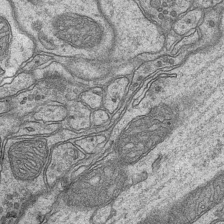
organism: Mouse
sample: CA1 Hippocampus